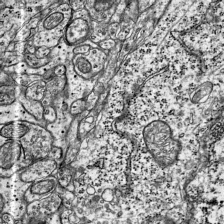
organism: Mouse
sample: Visual Cortex